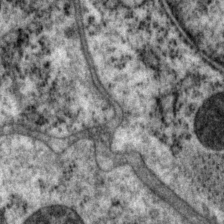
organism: P. pacificus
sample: Pharynx